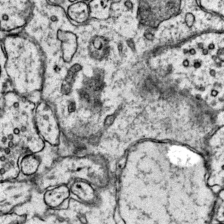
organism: Mouse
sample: Primary visual cortex